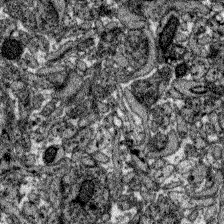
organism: Zebrafish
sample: Larval olfactory bulb